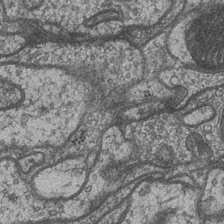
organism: Drosophila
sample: Optic medulla